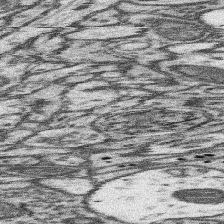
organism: Mouse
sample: Somatosensory cortex neuropil